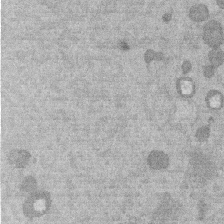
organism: Mouse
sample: Dividing mouse embryo 1 cell stage